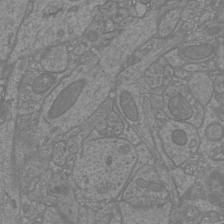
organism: Mouse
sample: Cortical neurons